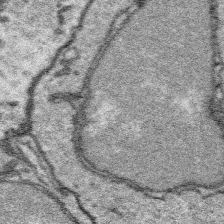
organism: Platynereis dumerilii